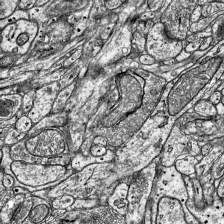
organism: Mouse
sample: Visual Cortex